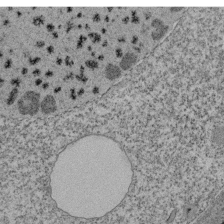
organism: Tetrahymena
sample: Cilia in tetrahymena